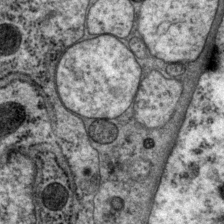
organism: P. pacificus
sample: Pharynx